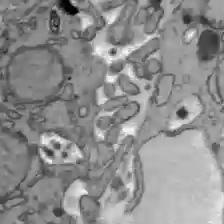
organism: C57BL Mouse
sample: Liver